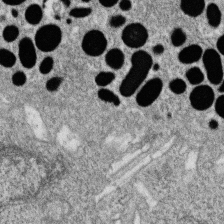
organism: Zebrafish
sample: Cilia; retinal pigment epithelium